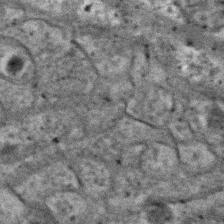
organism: C. elegans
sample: C. elegans embryo